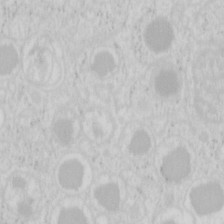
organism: Mouse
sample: Pancreas